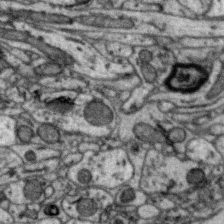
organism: Zebra finch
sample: Brain